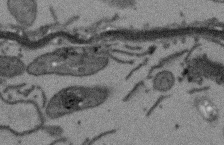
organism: Arabidopsis thaliana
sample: Root tip